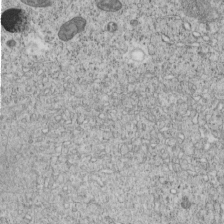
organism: C. elegans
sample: C. elegans embryo early stage